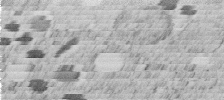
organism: C. elegans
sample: C. elegans embryo early stage